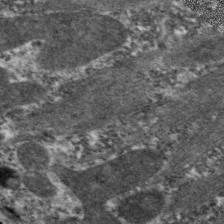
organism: C. elegans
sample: Pharynx